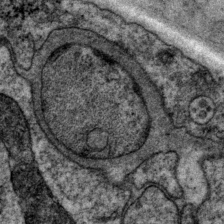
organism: P. pacificus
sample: Pharynx